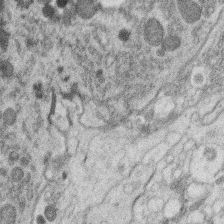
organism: C. elegans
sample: C. elegans oocyte; sperm cells